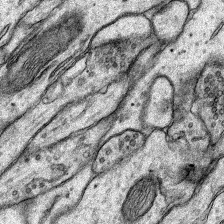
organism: Rat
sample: Hippocampus